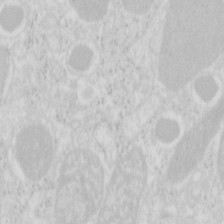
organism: Mouse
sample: Pancreas